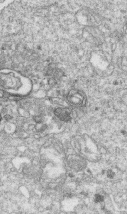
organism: Human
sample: HeLa cell HIV synapse